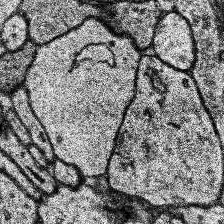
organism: Human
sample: Temporal Lobe